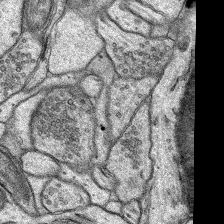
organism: Rat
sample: Hippocampus